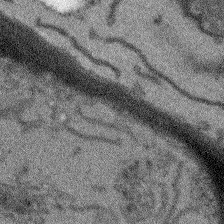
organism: Arabidopsis thaliana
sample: Root tip